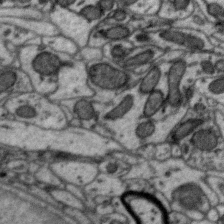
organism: Zebra finch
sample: Brain